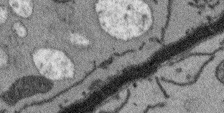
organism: Arabidopsis thaliana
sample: Root tip